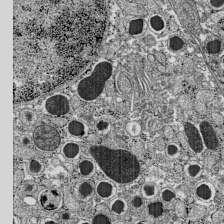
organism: C57BL Mouse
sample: Pancreatic islet